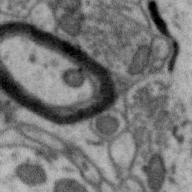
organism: Zebra finch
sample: Brain